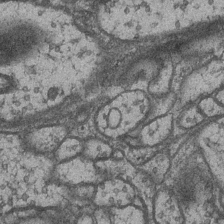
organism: Drosophila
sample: Optic medulla